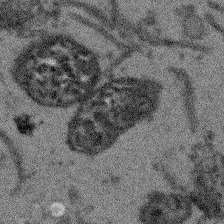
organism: Arabidopsis thaliana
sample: Root tip